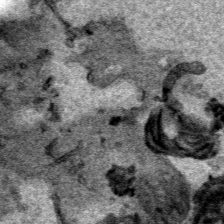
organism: Human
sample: Mitochondria in HCT116 cells